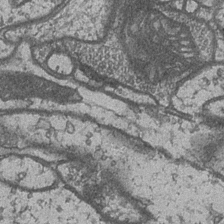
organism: Drosophila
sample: Optic medulla